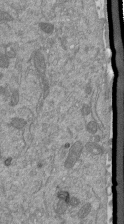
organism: Mouse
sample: ED-1 cell nuclei; centrioles